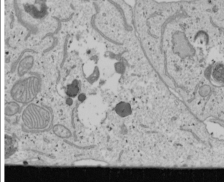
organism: Human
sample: Mitochondria in U2OS cells